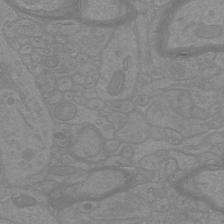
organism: Mouse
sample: Cortical neurons